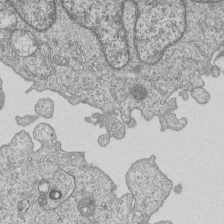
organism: Human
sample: MDA-MB-231 cells